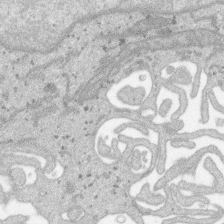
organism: Human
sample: Lung epithelial cells infected with SARS-CoV-2